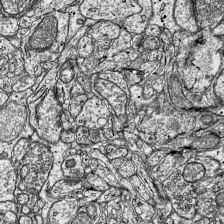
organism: Mouse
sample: Visual Cortex